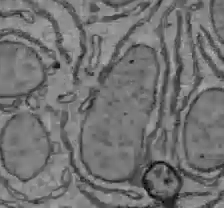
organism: C57BL Mouse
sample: Liver